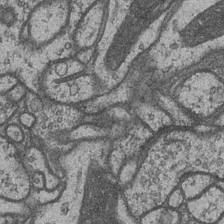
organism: Drosophila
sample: Optic medulla